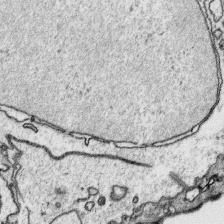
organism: Platynereis dumerilii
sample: Parapodia